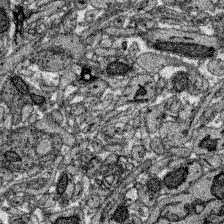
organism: Zebrafish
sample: Larval olfactory bulb